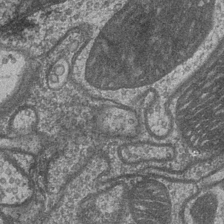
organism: Drosophila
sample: Optic medulla